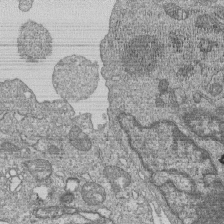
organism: Human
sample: MDA-MB-231 cells